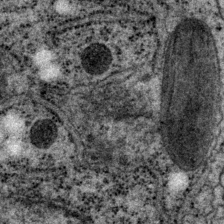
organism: P. pacificus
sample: Pharynx